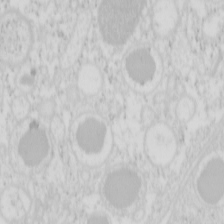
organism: Mouse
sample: Pancreas